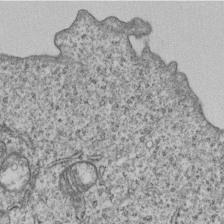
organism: Human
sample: MDA-MB-231 cells